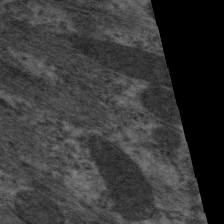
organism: C. elegans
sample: Pharynx